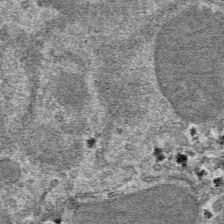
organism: Mouse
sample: Mouse hepatocytes